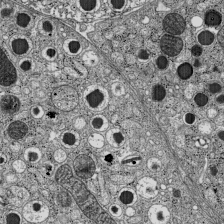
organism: C57BL Mouse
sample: Pancreatic islet